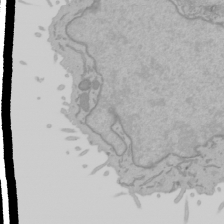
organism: Mouse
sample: Cancer cell death in ED-1 cells